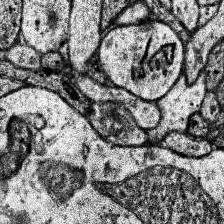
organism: Human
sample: Temporal Lobe